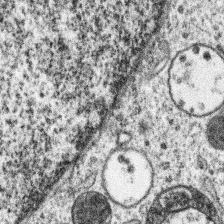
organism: Human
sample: HeLa cells